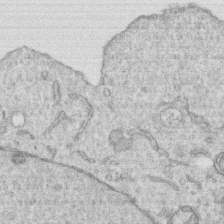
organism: Human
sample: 1205lu cells